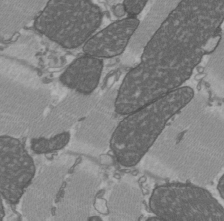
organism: C57BL Mouse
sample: Heart